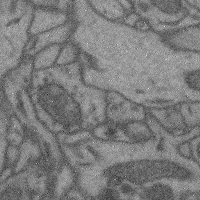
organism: Mouse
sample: Cerebral cortex